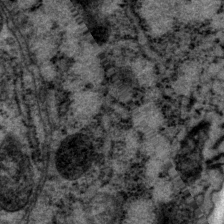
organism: P. pacificus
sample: Pharynx